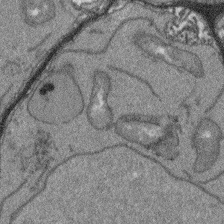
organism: Arabidopsis thaliana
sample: Root tip